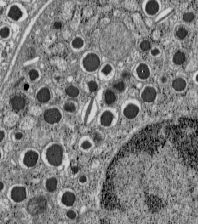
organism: C57BL Mouse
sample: Pancreatic islet